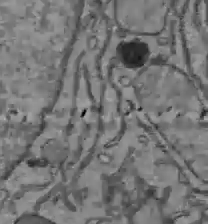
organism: C57BL Mouse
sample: Liver